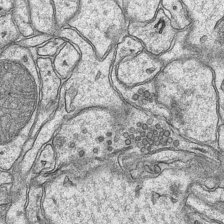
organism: Mouse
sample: CA1 Hippocampus